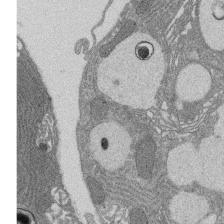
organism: Rat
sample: Salivary granule